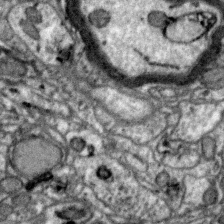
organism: Zebra finch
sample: Brain